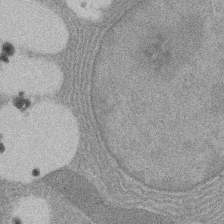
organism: Rat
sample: Salivary granule